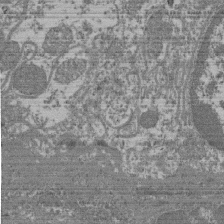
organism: Mouse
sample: Glomerulus